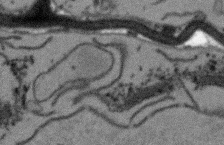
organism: Arabidopsis thaliana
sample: Root tip